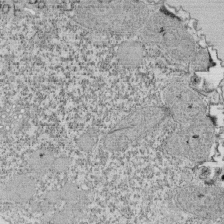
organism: Tetrahymena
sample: Cilia in tetrahymena